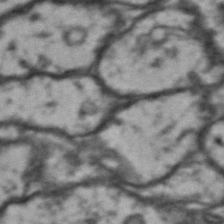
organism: Drosophila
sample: Brain